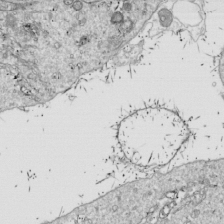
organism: Drosophila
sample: Cell division; meiosis; drosophila spermatocytes